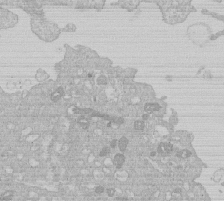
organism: Human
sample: Macrophage cells